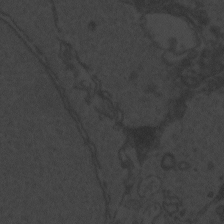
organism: Zebrafish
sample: Macrophage infected with Toxoplasma gondii